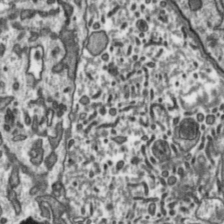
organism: Toxoplasma gondii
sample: Parasites in a vacuole inside a host cell